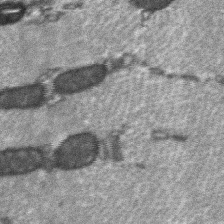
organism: C57BL Mouse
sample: Soleus